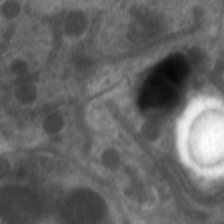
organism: C. elegans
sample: Pharynx